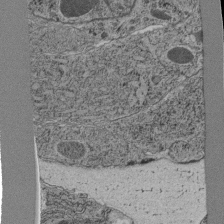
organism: C. elegans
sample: C. elegans pharynx